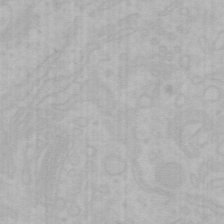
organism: Mouse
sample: Choroid plexus